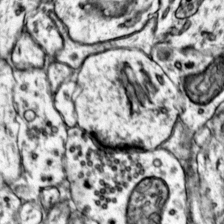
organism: Mouse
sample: Primary visual cortex